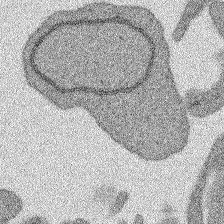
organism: Human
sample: HeLa cells